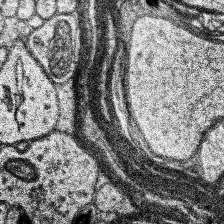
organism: Human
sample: Temporal Lobe